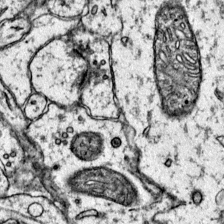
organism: Mouse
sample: Primary visual cortex